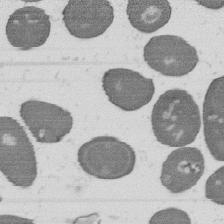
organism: B. subtilis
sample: Bacterial spore